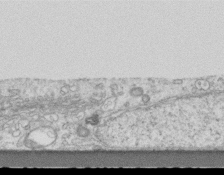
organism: Mouse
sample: Centriole in ependymal cells